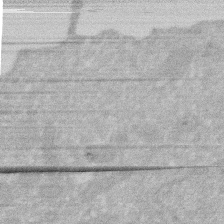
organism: Human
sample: HIV infected U937 cells